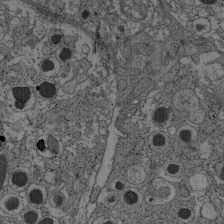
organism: C57BL Mouse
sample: Pancreatic islet